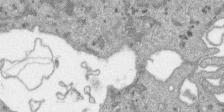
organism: Human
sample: Lung epithelial cells infected with SARS-CoV-2